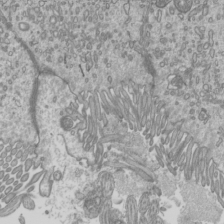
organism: Mouse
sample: Cilia; mouse epididymis